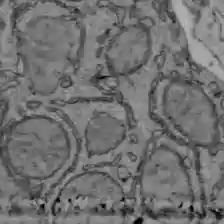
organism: C57BL Mouse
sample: Liver